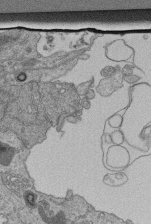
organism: Human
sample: Retinal organoid Rod and Cone cells